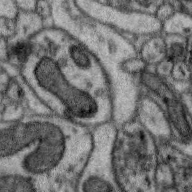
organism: Zebra finch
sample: Brain